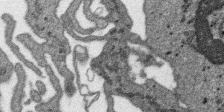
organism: Human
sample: Lung epithelial cells infected with SARS-CoV-2